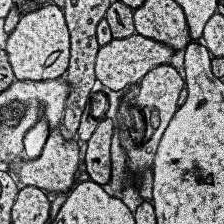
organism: Human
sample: Temporal Lobe